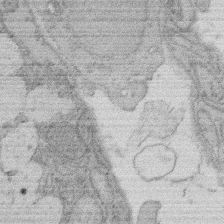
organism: Rat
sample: Salivary granule